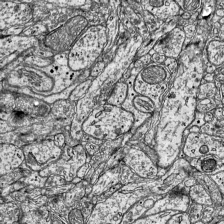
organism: Mouse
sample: Visual Cortex